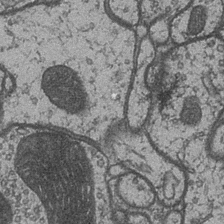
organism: Drosophila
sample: Optic medulla